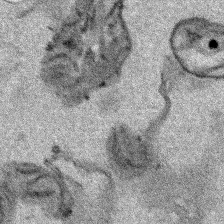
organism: Human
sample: Mitochondria in HCT116 cells